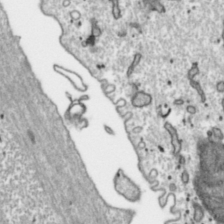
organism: Toxoplasma gondii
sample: Parasites in a vacuole inside a host cell